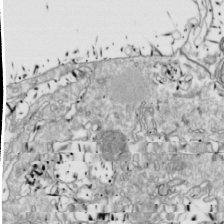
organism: Drosophila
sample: Cell division; meiosis; drosophila spermatocytes